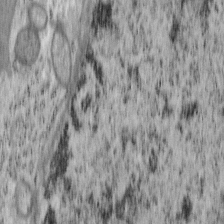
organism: Human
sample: HeLa cells